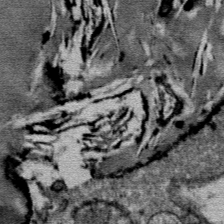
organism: Mouse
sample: Mouse Salivary gland